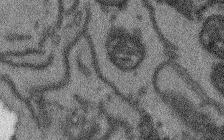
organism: Arabidopsis thaliana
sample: Root tip